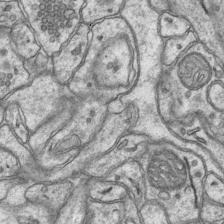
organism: Mouse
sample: CA1 Hippocampus